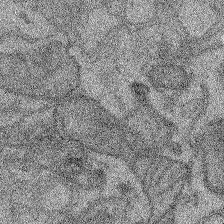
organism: Human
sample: HeLa cells